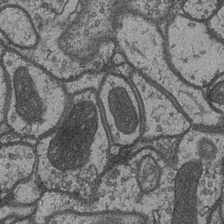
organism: Drosophila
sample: Optic medulla